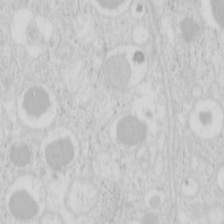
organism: Mouse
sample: Pancreas